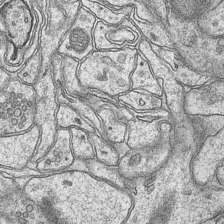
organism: Mouse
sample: CA1 Hippocampus